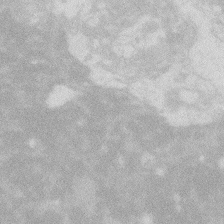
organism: Zebrafish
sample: Macrophage